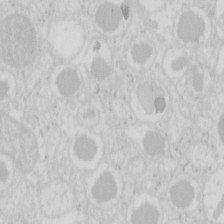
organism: Mouse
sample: Pancreas